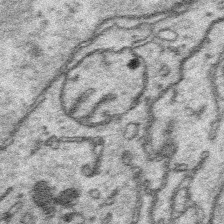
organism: Platynereis dumerilii